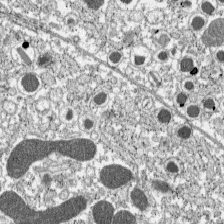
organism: C57BL Mouse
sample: Pancreatic islet